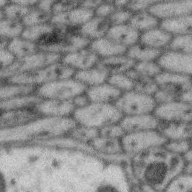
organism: Zebra finch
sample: Brain